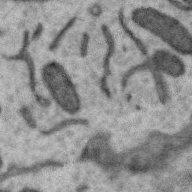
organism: Zebra finch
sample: Brain